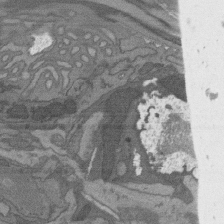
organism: C. elegans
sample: AFD neurons C. elegans